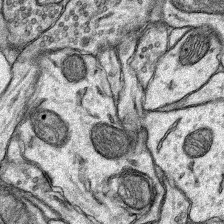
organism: Rat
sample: Hippocampus